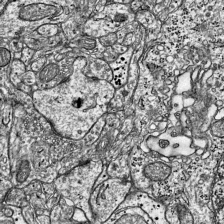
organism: Mouse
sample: Visual Cortex